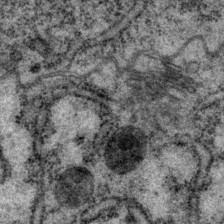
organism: P. pacificus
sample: Pharynx